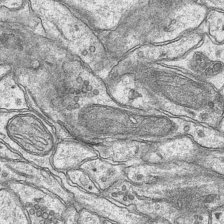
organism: Mouse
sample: CA1 Hippocampus